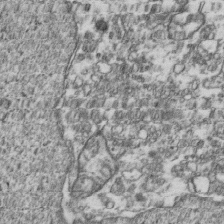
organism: Human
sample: Activated Jurkat CD4+ T cells